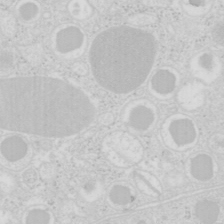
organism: Mouse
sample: Pancreas